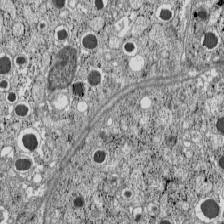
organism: C57BL Mouse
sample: Pancreatic islet